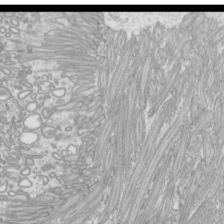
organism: Mouse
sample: Cilia; mouse epididymis